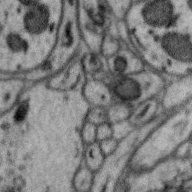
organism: Zebra finch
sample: Brain